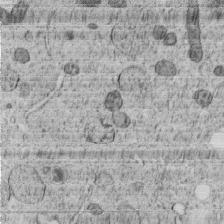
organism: C. elegans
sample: C. elegans embryo early stage